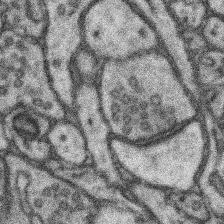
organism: Mouse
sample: Somatosensory cortex neuropil